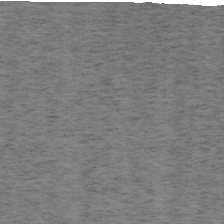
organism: Mouse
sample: OT-I killer T cells with ID8 ovarian cancer cells